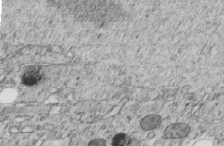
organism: C. elegans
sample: C. elegans embryo early stage